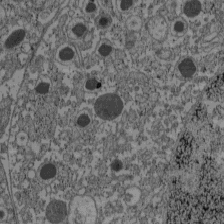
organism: C57BL Mouse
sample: Pancreatic islet